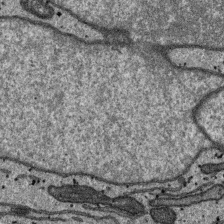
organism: Human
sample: Lung epithelial cells, uninfected (mock) control